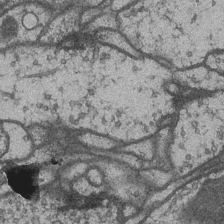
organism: Drosophila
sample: Optic medulla